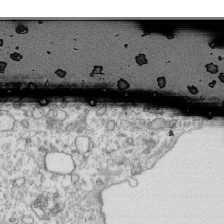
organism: Mouse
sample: Activated OT-1 CD8+ T cells